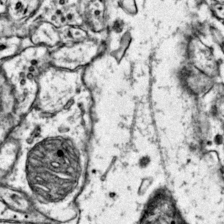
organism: Mouse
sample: Primary visual cortex